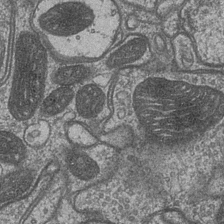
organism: Drosophila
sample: Optic medulla